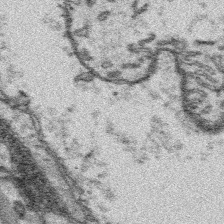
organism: Platynereis dumerilii